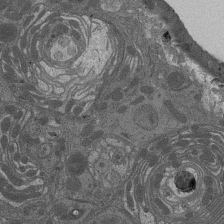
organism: Drosophila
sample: Antenna